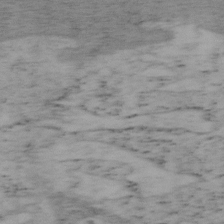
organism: Mouse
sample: OT-I killer T cells with ID8 ovarian cancer cells